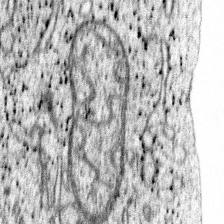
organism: Human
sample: HeLa cells